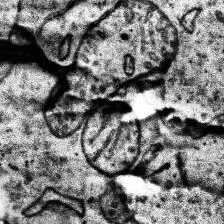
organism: Human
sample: Temporal Lobe